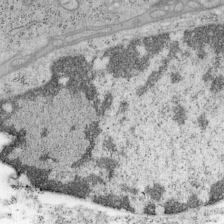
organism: Mouse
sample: OT-I killer T cells with ID8 ovarian cancer cells